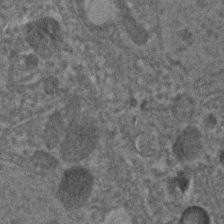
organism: C. elegans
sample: C. elegans embryo